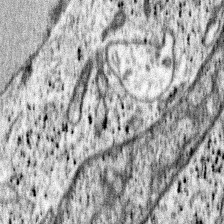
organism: Human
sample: HeLa cells